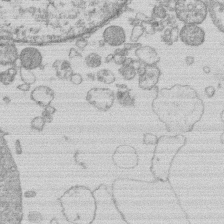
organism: Human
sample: Macrophage cells